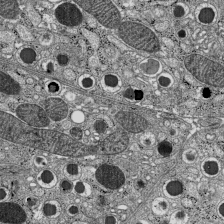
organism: C57BL Mouse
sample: Pancreatic islet